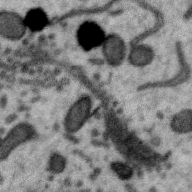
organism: Zebra finch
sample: Brain